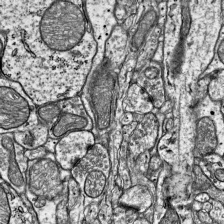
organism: Mouse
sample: Visual Cortex